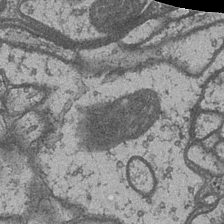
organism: Drosophila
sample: Optic medulla